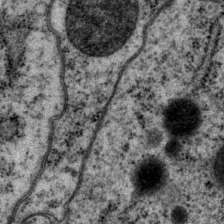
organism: P. pacificus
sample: Pharynx